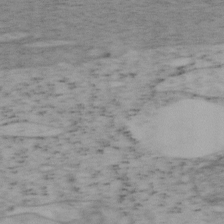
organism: Mouse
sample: OT-I killer T cells with ID8 ovarian cancer cells